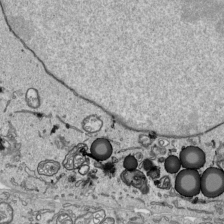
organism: Human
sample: Mitochondria in HCT116 cells